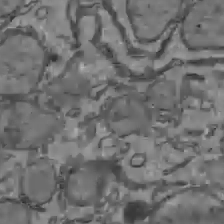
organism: C57BL Mouse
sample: Liver